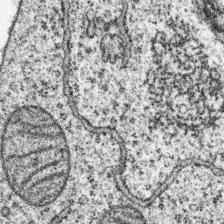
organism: Human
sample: HeLa cells